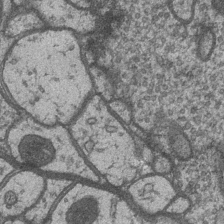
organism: Drosophila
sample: Optic medulla